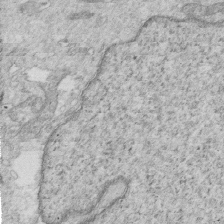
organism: Mouse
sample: Multiciliated cells